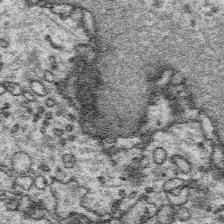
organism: Platynereis dumerilii